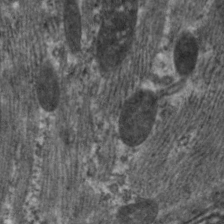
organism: C. elegans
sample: Pharynx